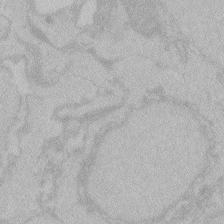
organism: Zebrafish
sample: Macrophage infected with Toxoplasma gondii